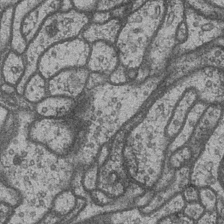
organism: Drosophila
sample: Optic medulla